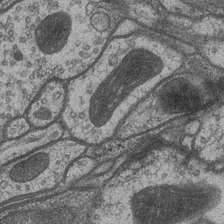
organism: Drosophila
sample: Optic medulla